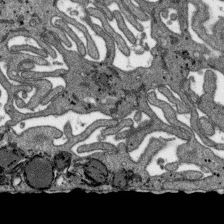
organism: Human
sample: Lung epithelial cells, uninfected (mock) control